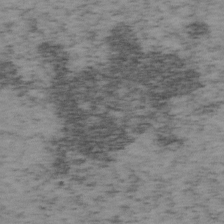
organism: Mouse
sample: OT-I killer T cells with ID8 ovarian cancer cells